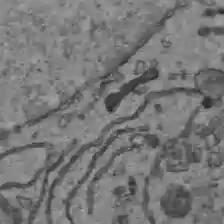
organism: C57BL Mouse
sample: Liver